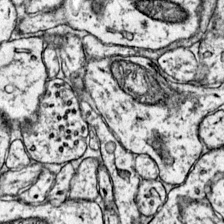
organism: Mouse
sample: Primary visual cortex